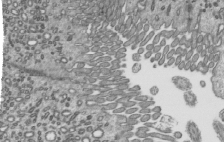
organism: Mouse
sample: Mouse epididymis efferent ductule cilia